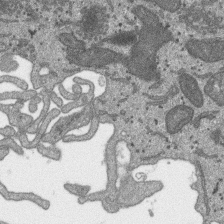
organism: Human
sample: Lung epithelial cells infected with SARS-CoV-2